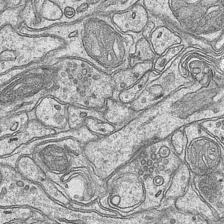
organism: Mouse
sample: CA1 Hippocampus